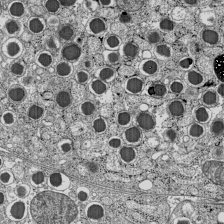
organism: C57BL Mouse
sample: Pancreatic islet